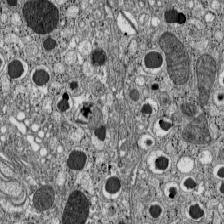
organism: C57BL Mouse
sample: Pancreatic islet